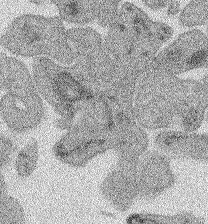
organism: Human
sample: HeLa cells